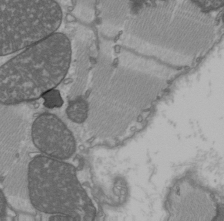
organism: C57BL Mouse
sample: Heart